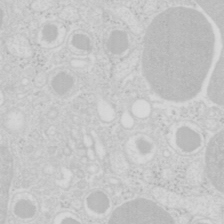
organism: Mouse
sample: Pancreas